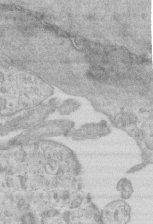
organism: Mouse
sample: Centriole in ependymal cells